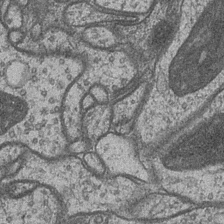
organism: Drosophila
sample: Optic medulla